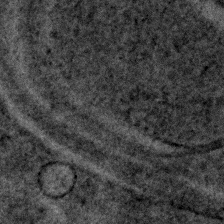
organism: Human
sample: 1205lu cells